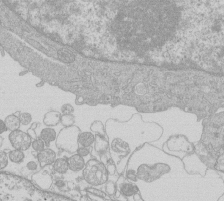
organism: Human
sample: Macrophage cells